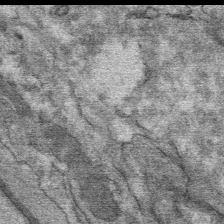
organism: Mouse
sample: Mouse Salivary gland